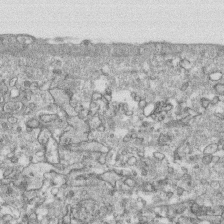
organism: Human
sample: CRL-1474